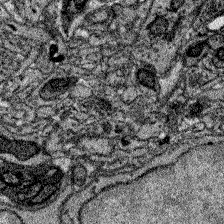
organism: Zebrafish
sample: Larval olfactory bulb